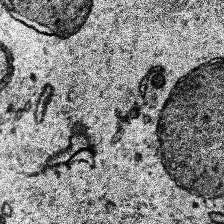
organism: Human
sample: Temporal Lobe